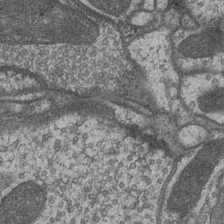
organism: Drosophila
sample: Optic medulla